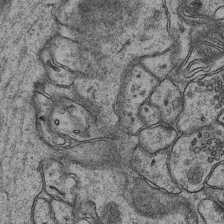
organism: Mouse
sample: CA1 Hippocampus